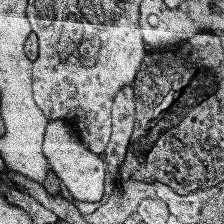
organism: Human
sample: Temporal Lobe